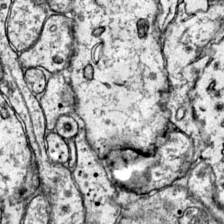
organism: Mouse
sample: Primary visual cortex